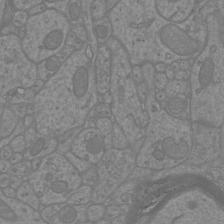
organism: Mouse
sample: Cortical neurons